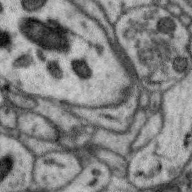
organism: Zebra finch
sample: Brain